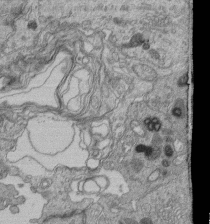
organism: Human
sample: Retinal organoid Rod and Cone cells